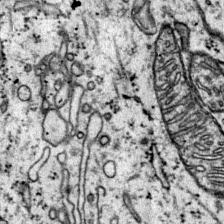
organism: Mouse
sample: Primary visual cortex